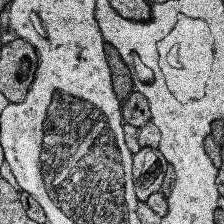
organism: Human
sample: Temporal Lobe